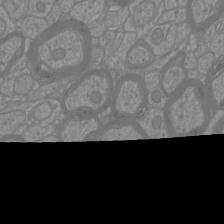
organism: Mouse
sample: Cortical neurons